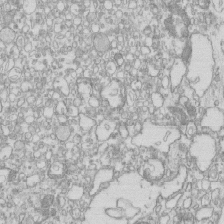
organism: Mouse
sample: Macrophages